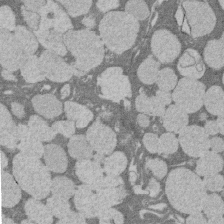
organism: Rat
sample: Salivary granule